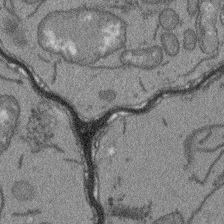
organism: Arabidopsis thaliana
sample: Root tip